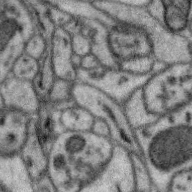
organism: Zebra finch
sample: Brain